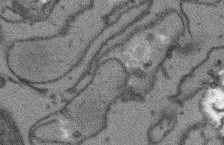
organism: Arabidopsis thaliana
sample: Root tip